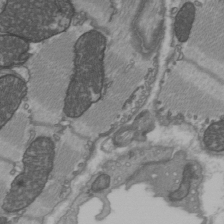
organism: C57BL Mouse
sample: Heart